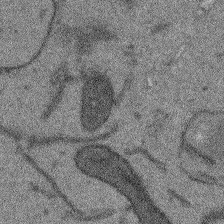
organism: Arabidopsis thaliana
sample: Root tip